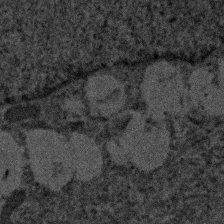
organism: Human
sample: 1205lu cells